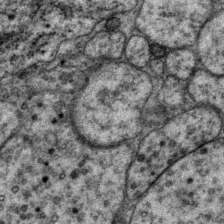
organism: P. pacificus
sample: Pharynx